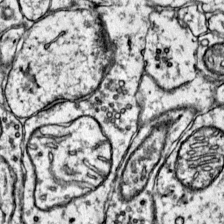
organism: Mouse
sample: Primary visual cortex